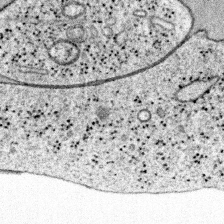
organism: Human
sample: HeLa cells